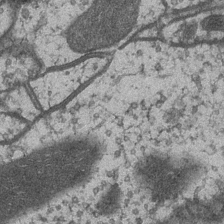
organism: Drosophila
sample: Optic medulla